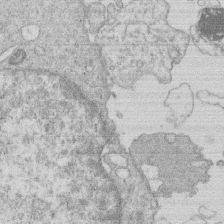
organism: Human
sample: Macrophage cells